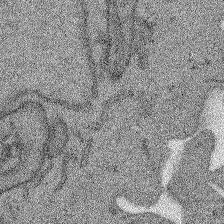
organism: Human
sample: HeLa cells